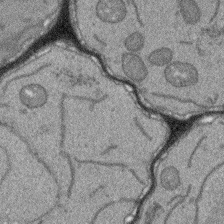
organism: Arabidopsis thaliana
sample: Root tip